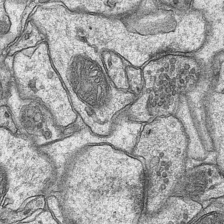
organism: Mouse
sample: CA1 Hippocampus